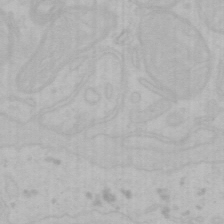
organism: Mouse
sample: Choroid plexus